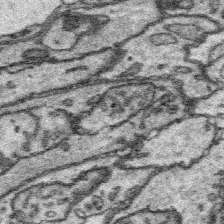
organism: Platynereis dumerilii